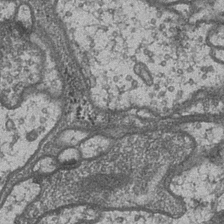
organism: Drosophila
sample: Optic medulla